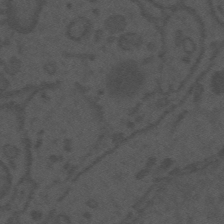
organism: Mouse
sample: Suprachiasmatic nucleus